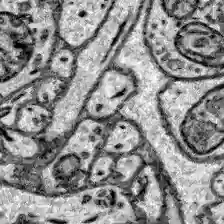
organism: Zebrafish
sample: Brain